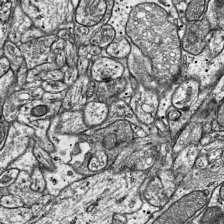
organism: Mouse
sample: Visual Cortex